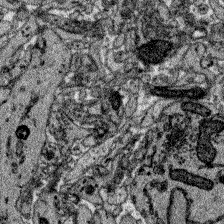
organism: Zebrafish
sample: Larval olfactory bulb